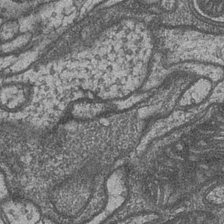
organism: Drosophila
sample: Optic medulla